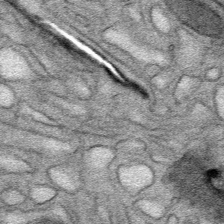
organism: Mouse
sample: Mouse Salivary gland